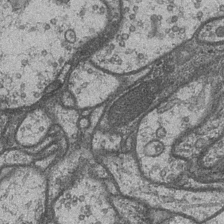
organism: Drosophila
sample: Optic medulla